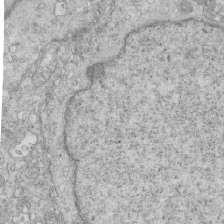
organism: Mouse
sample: Multiciliated cells